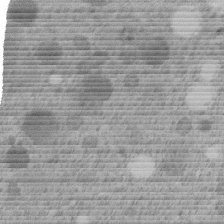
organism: C. elegans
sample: C. elegans embryo early stage